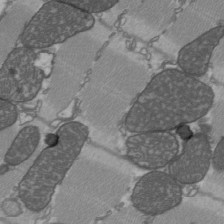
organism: C57BL Mouse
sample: Heart